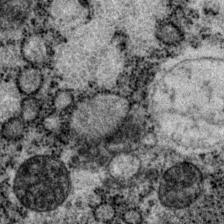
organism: P. pacificus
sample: Pharynx